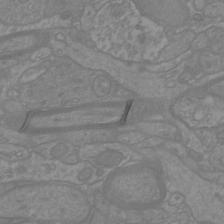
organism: Mouse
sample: Cortical neurons